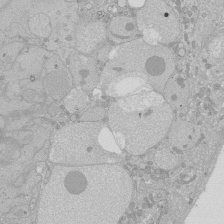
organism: Human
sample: Caco-2 cells